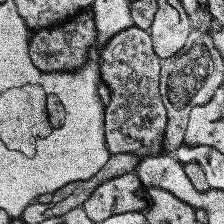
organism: Human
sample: Temporal Lobe